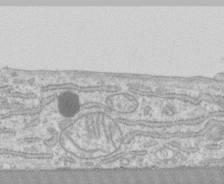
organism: Human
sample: CRL-1474